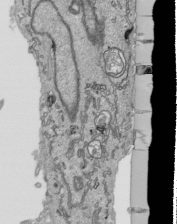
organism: Human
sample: Mitochondria in HCT116 cells